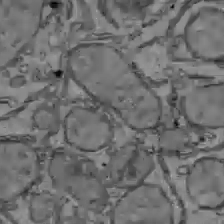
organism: C57BL Mouse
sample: Liver